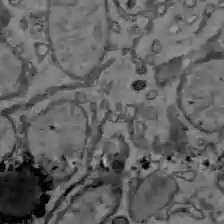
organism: C57BL Mouse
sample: Liver